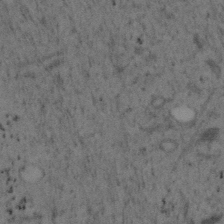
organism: Human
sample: HeLa cells